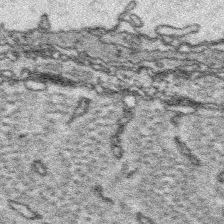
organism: Platynereis dumerilii